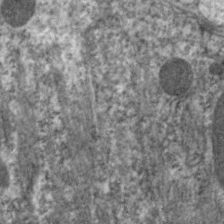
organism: C. elegans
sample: Pharynx